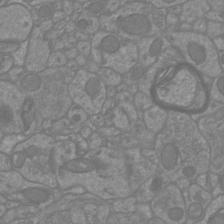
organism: Mouse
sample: Cortical neurons